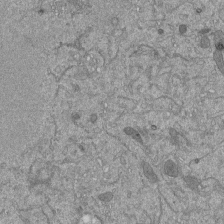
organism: Mouse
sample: ED-1 cell nuclei; centrioles